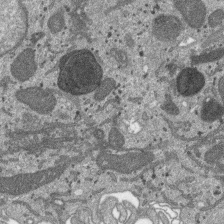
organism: Human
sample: Lung epithelial cells infected with SARS-CoV-2